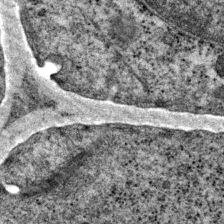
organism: P. pacificus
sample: Pharynx